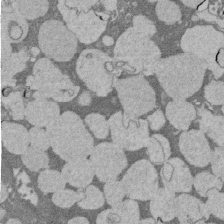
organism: Rat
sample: Salivary granule